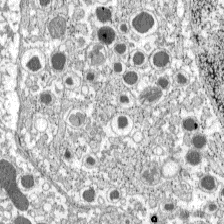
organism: C57BL Mouse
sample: Pancreatic islet